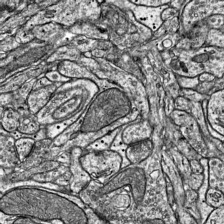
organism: Mouse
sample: Visual Cortex